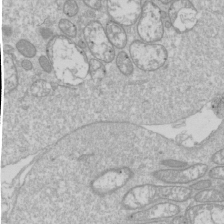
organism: Drosophila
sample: Cell division; meiosis; drosophila spermatocytes